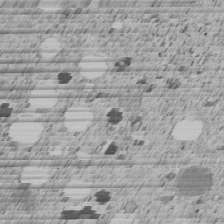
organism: C. elegans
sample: C. elegans embryo early stage